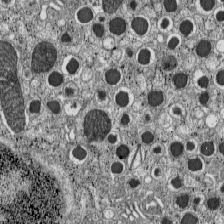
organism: C57BL Mouse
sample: Pancreatic islet